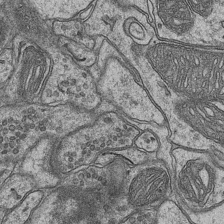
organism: Mouse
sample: CA1 Hippocampus